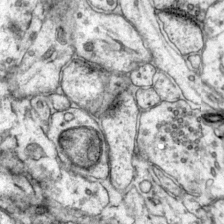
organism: Mouse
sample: Primary visual cortex